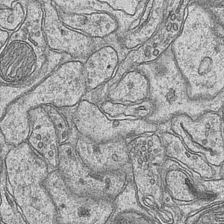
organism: Mouse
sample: CA1 Hippocampus